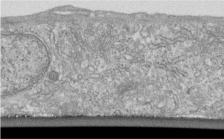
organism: Human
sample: Centriole in fibroblast cells